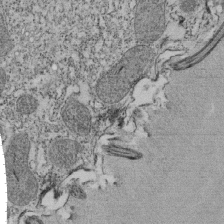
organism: Tetrahymena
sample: Cilia in tetrahymena